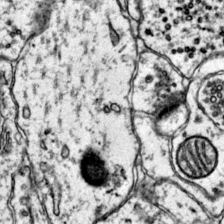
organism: Mouse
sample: Primary visual cortex